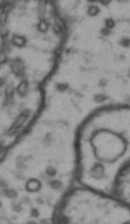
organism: Drosophila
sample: Brain